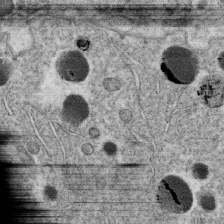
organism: C. elegans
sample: C. elegans oocyte; sperm cells